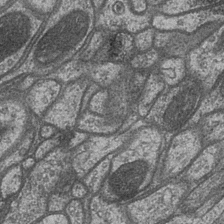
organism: Drosophila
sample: Optic medulla